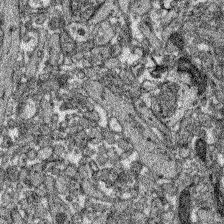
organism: Zebrafish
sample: Larval olfactory bulb